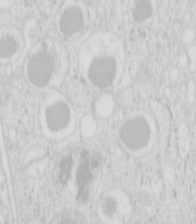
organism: Mouse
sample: Pancreas